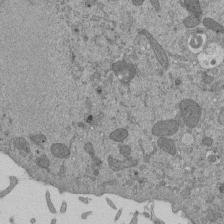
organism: Mouse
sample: ED-1 cell nuclei; centrioles